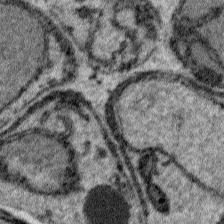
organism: Plasmodium falciparum